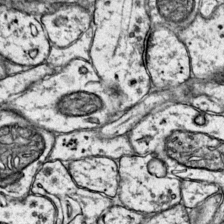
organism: Mouse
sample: Primary visual cortex